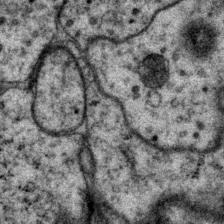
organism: P. pacificus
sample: Pharynx